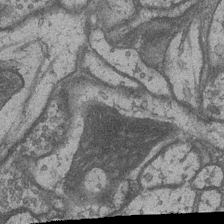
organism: Drosophila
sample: Optic medulla